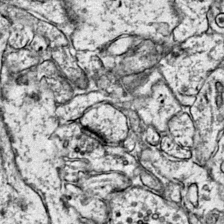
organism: Mouse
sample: Primary visual cortex